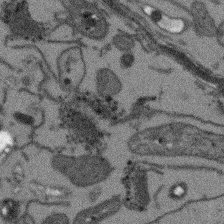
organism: Arabidopsis thaliana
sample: Root tip